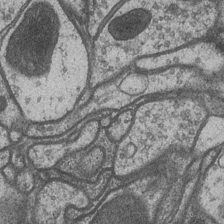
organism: Drosophila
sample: Optic medulla